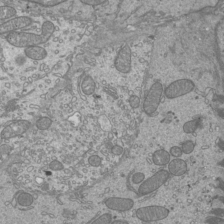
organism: Mouse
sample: Cilia; mouse epididymis